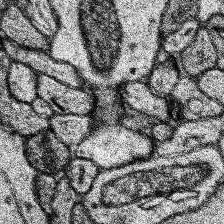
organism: Human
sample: Temporal Lobe